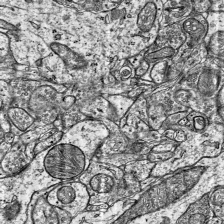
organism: Mouse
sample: Visual Cortex